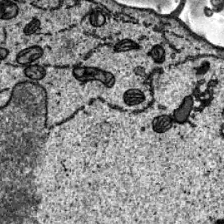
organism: Human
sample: HeLa cells